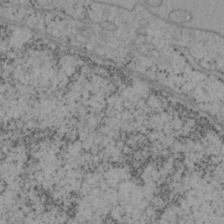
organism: Human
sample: HeLa cells